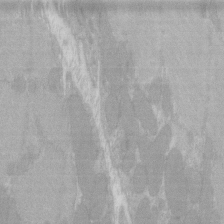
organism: C57BL Mouse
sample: Tibialis anterior muscle cell